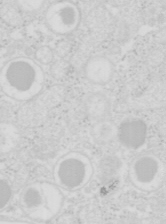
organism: Mouse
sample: Pancreas